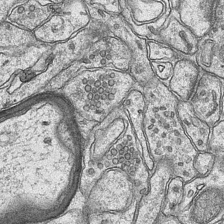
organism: Mouse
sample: CA1 Hippocampus